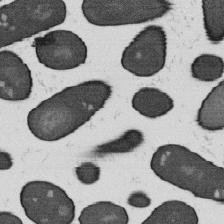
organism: B. subtilis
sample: Bacterial spore